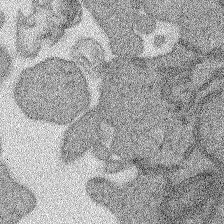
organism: Human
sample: HeLa cells